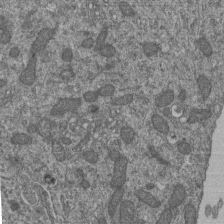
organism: Human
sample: Retinal organoid Rod and Cone cells